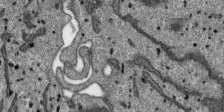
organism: Human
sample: Lung epithelial cells, uninfected (mock) control